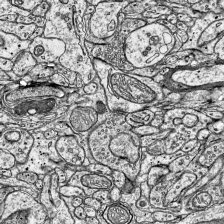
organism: Mouse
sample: Visual Cortex